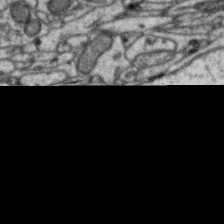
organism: Zebra finch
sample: Brain